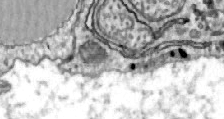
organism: Zebrafish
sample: Actinotrichia fibers